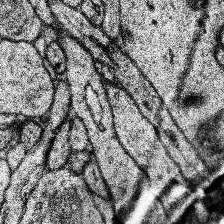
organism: Human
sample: Temporal Lobe